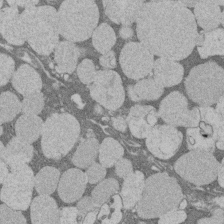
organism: Rat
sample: Salivary granule